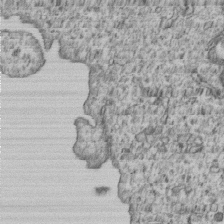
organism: Human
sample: MDA-MB-231 cells